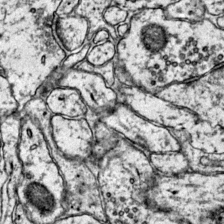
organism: Mouse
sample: Primary visual cortex